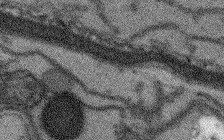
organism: Arabidopsis thaliana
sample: Root tip